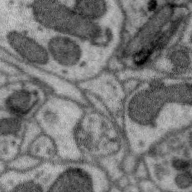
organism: Zebra finch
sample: Brain